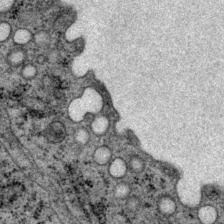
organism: P. pacificus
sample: Pharynx